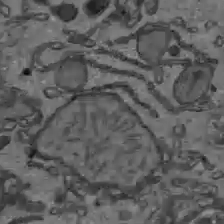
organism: C57BL Mouse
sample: Liver